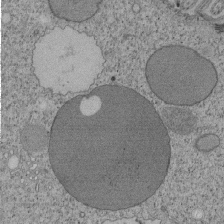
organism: Tetrahymena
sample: Cilia in tetrahymena